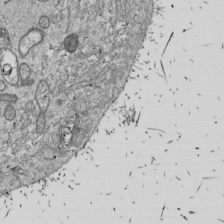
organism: Drosophila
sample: Cell division; meiosis; drosophila spermatocytes